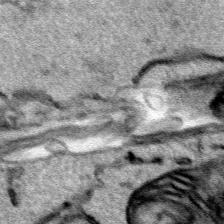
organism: Human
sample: Mitochondria in HCT116 cells